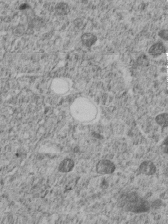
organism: C. elegans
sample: C. elegans embryo early stage